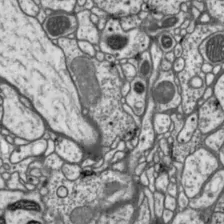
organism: Drosophila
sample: Protocerebral bridge